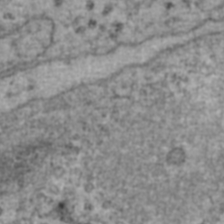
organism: Human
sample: Blood